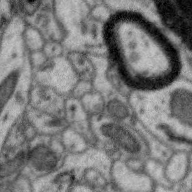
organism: Zebra finch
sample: Brain